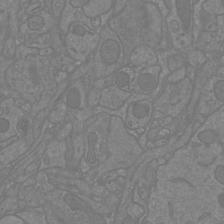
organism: Mouse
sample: Cortical neurons